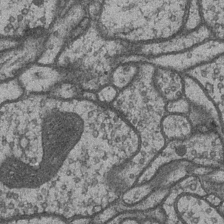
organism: Drosophila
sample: Optic medulla